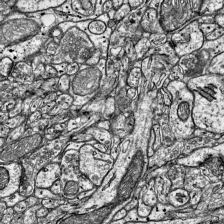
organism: Mouse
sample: Visual Cortex